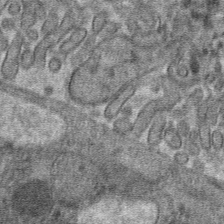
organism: Mouse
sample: Mouse hepatocytes